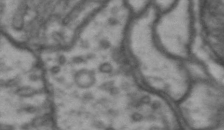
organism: Drosophila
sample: Brain